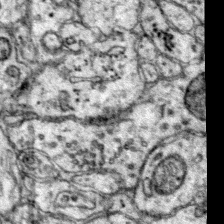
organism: Mouse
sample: Primary visual cortex